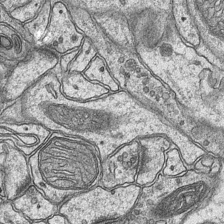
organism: Mouse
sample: CA1 Hippocampus